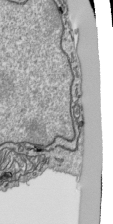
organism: Human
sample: Mitochondria in HCT116 cells